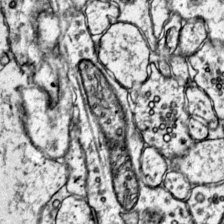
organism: Mouse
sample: Primary visual cortex